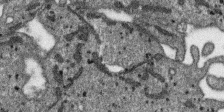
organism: Human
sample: Lung epithelial cells infected with SARS-CoV-2